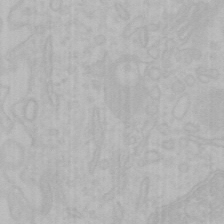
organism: Mouse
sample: Choroid plexus